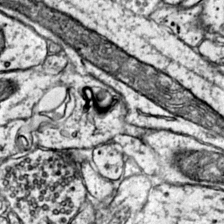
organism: Mouse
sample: Primary visual cortex